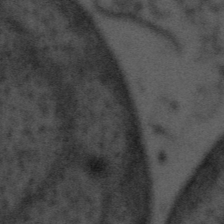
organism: Tuwongella immobilis